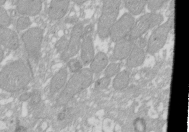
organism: Xenopus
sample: Cilia; centrioles in frog embryo cells